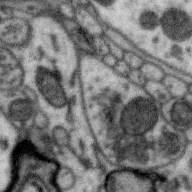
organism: Zebra finch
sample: Brain